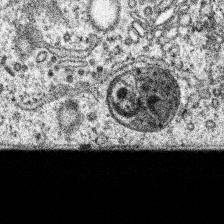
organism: Human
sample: HeLa cells